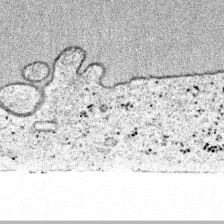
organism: Human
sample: HeLa cells